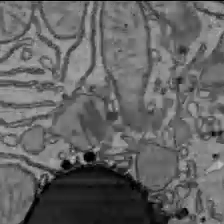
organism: C57BL Mouse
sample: Liver